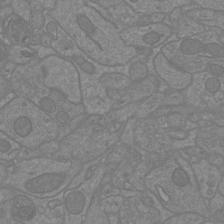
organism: Mouse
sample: Cortical neurons